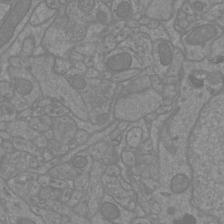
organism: Mouse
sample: Cortical neurons